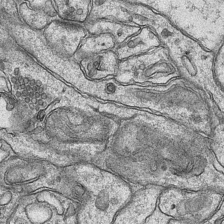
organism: Mouse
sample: CA1 Hippocampus